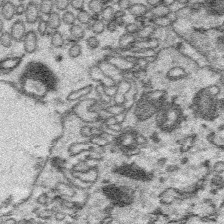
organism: Platynereis dumerilii